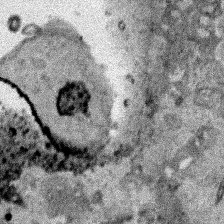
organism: Human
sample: Mitochondria in HCT116 cells